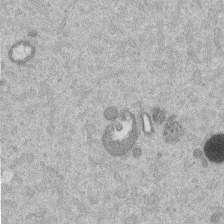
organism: Mouse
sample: Dividing mouse embryo 1 cell stage